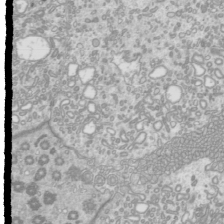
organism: Mouse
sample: Cilia; mouse epididymis